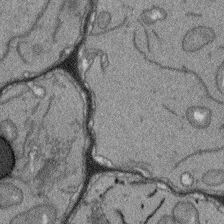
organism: Arabidopsis thaliana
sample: Root tip